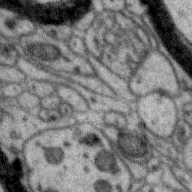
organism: Zebra finch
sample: Brain